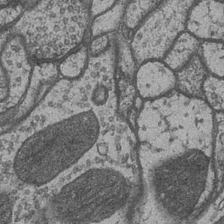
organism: Drosophila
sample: Optic medulla